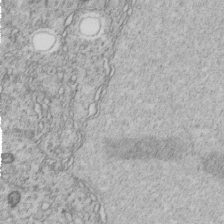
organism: C. elegans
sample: C. elegans embryo early stage